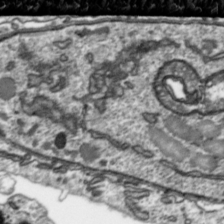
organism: Toxoplasma gondii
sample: Parasites in a vacuole inside a host cell